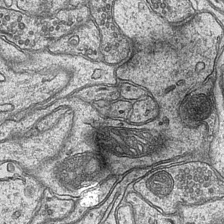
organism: Mouse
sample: CA1 Hippocampus